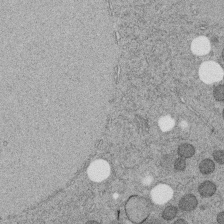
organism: C. elegans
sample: C. elegans embryo early stage